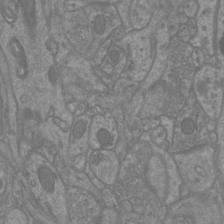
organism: Mouse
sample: Cortical neurons